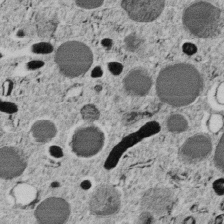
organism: C. elegans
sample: C. elegans embryo early stage